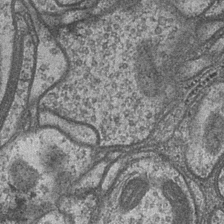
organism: Drosophila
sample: Optic medulla